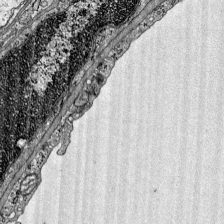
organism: Mouse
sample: Visual Cortex